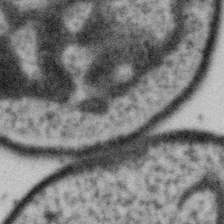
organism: Gemmata obscuriglobus